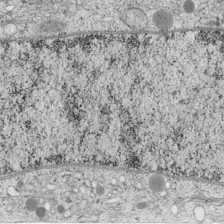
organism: African green monkey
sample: COS-7 cells